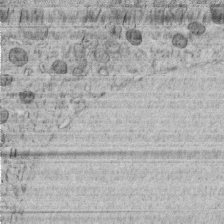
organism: C. elegans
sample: C. elegans embryo early stage